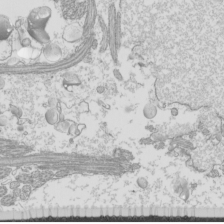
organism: Mouse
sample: Cilia; mouse epididymis